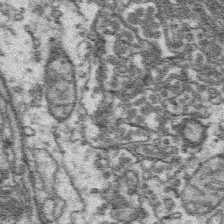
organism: Platynereis dumerilii